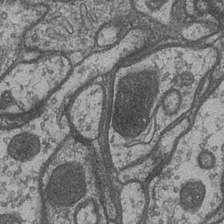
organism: Drosophila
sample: Optic medulla